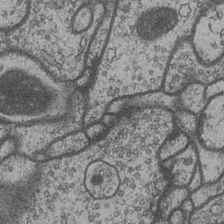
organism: Drosophila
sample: Optic medulla